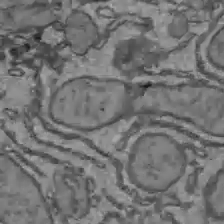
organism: C57BL Mouse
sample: Liver